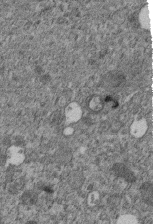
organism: C. elegans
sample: C. elegans embryo early stage